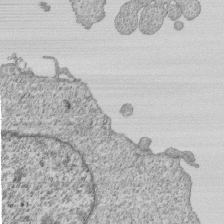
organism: Human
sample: MDA-MB-231 cells